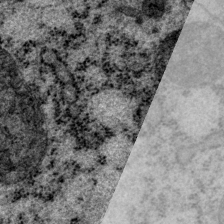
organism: P. pacificus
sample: Pharynx